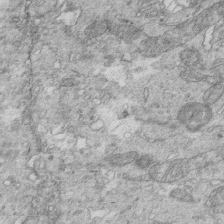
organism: Mouse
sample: Multiciliated cells